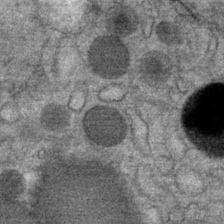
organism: Mouse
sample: Mouse Salivary gland